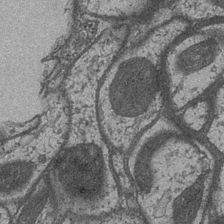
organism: Drosophila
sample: Optic medulla